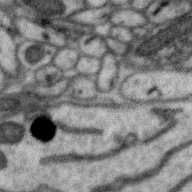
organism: Zebra finch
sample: Brain